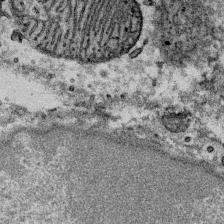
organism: Mouse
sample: Mouse Salivary gland